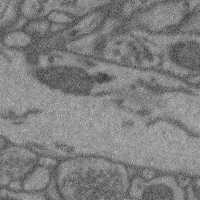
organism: Mouse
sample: Cerebral cortex